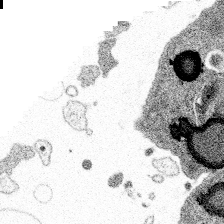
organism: Spongilla lacustris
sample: Multiple